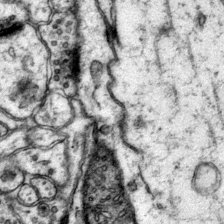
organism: Mouse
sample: Primary visual cortex